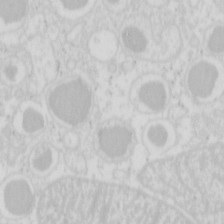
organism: Mouse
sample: Pancreas